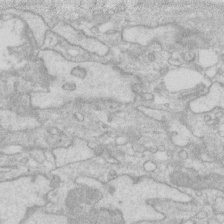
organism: Human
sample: Fibroblast cells